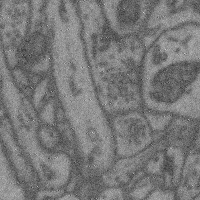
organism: Mouse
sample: Cerebral cortex